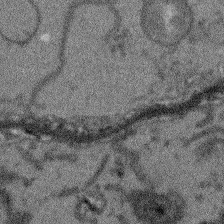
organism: Arabidopsis thaliana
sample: Root tip